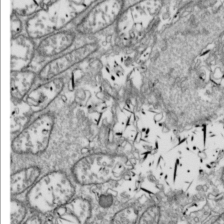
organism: Drosophila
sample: Cell division; meiosis; drosophila spermatocytes